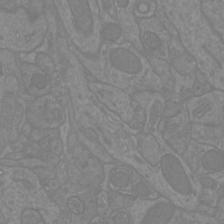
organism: Mouse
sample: Cortical neurons